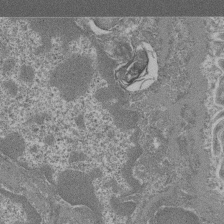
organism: Mouse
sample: Glomerulus